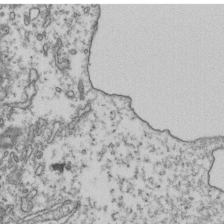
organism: Human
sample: Activated Jurkat CD4+ T cells